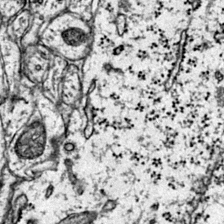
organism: Mouse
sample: Primary visual cortex